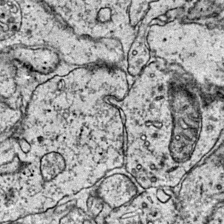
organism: Mouse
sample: Primary visual cortex